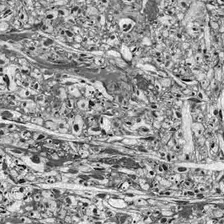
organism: Drosophila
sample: Optic lobe